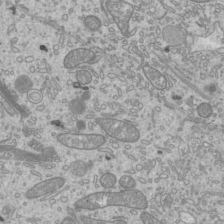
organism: Mouse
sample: Cilia; mouse epididymis